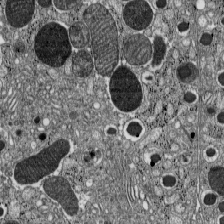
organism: C57BL Mouse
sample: Pancreatic islet